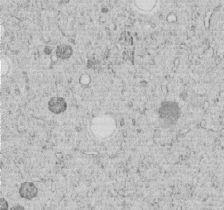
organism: C. elegans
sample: C. elegans embryo early stage